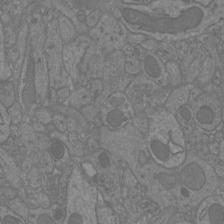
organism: Mouse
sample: Cortical neurons